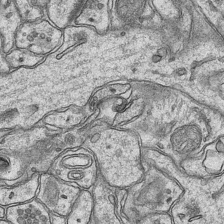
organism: Mouse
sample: CA1 Hippocampus